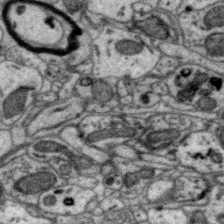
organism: Zebra finch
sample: Brain